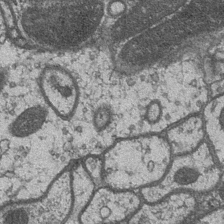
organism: Drosophila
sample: Optic medulla